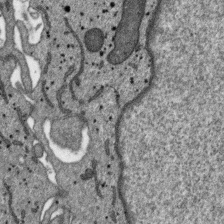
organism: Human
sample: Lung epithelial cells, uninfected (mock) control